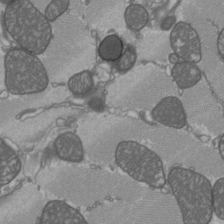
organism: C57BL Mouse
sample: Heart